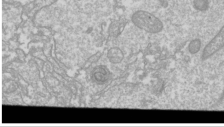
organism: Drosophila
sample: Cell division; meiosis; drosophila spermatocytes